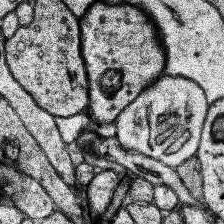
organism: Human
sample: Temporal Lobe